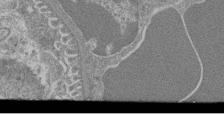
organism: Mouse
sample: Glomerulus